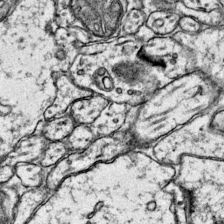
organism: Mouse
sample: Primary visual cortex